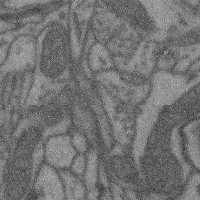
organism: Mouse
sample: Cerebral cortex